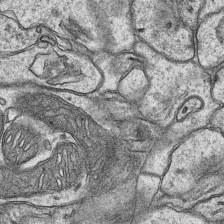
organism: Mouse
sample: CA1 Hippocampus